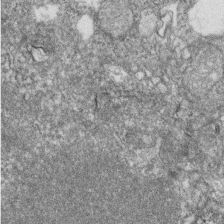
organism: Zebrafish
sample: Cilia; retinal pigment epithelium